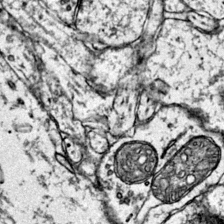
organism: Mouse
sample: Primary visual cortex